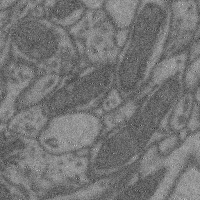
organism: Mouse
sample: Cerebral cortex